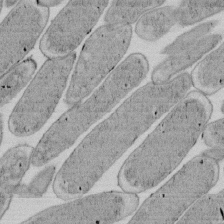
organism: E. coli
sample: Bacterial nucleoid